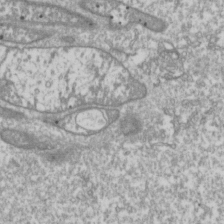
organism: Drosophila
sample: Cell division; meiosis; drosophila spermatocytes